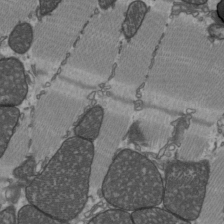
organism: C57BL Mouse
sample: Heart